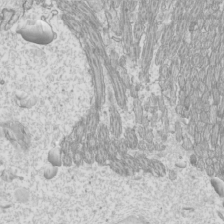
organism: Mouse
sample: Cilia; mouse epididymis